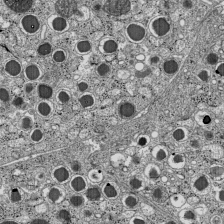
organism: C57BL Mouse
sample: Pancreatic islet